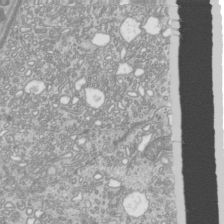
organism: Mouse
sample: Cilia; mouse epididymis